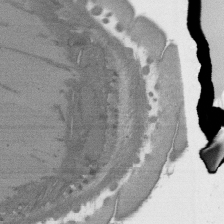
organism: C. elegans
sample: AFD neurons C. elegans